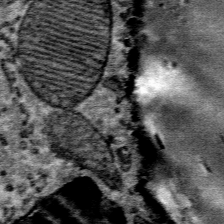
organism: Mouse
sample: Mouse Salivary gland